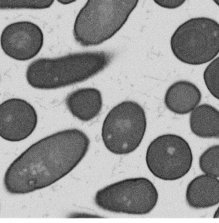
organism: B. subtilis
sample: Bacterial spore